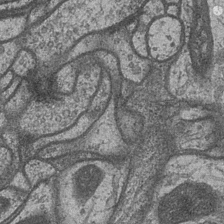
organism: Drosophila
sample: Optic medulla